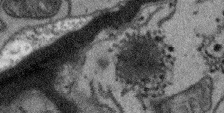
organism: Arabidopsis thaliana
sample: Root tip